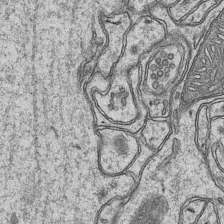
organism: Mouse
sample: CA1 Hippocampus